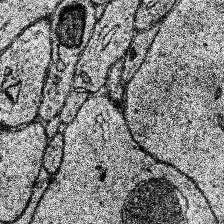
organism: Human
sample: Temporal Lobe